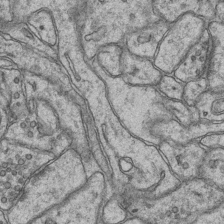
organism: Mouse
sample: CA1 Hippocampus